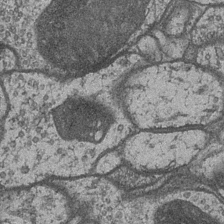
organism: Drosophila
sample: Optic medulla